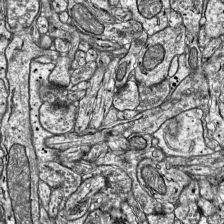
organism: Mouse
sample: Visual Cortex